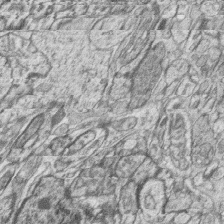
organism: Zebrafish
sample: synaptic ribbons in rod cells and cone cells